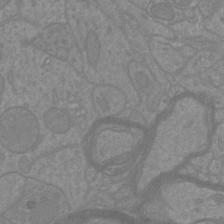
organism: Mouse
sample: Cortical neurons